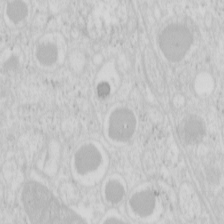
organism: Mouse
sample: Pancreas